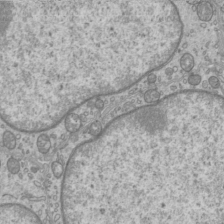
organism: Mouse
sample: Cilia; mouse epididymis